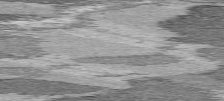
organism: C57BL Mouse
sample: Heart